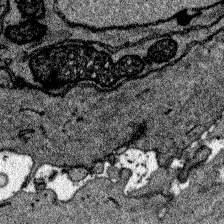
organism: Zebrafish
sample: Larval olfactory bulb